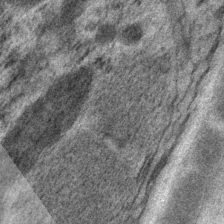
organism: P. pacificus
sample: Pharynx